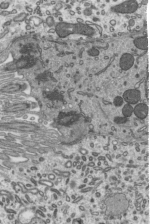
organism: Mouse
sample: Mouse epididymis efferent ductule cilia